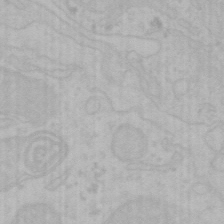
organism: Mouse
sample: Choroid plexus